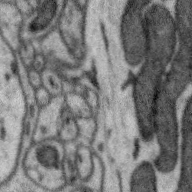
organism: Zebra finch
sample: Brain